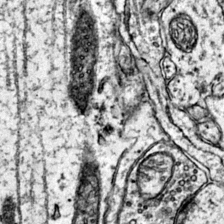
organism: Mouse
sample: Primary visual cortex